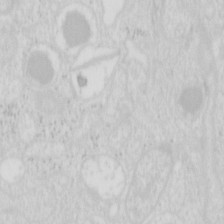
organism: Mouse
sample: Pancreas